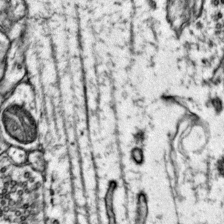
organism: Mouse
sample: Primary visual cortex